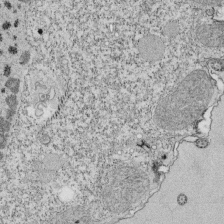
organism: Tetrahymena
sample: Cilia in tetrahymena